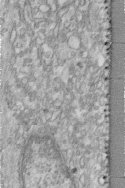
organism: Human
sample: Centriole in fibroblast cells